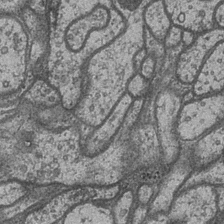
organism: Drosophila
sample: Optic medulla